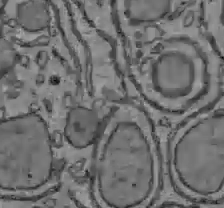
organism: C57BL Mouse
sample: Liver